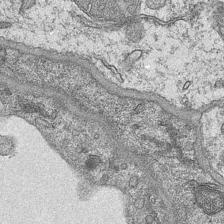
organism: Mouse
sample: CA1 Hippocampus